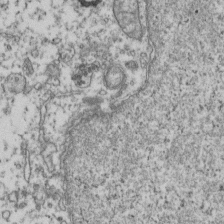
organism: Human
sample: Activated Jurkat CD4+ T cells